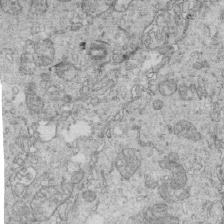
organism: Mouse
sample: Multiciliated cells